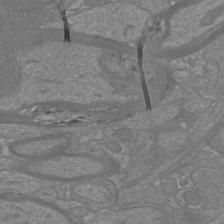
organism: Mouse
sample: Cortical neurons